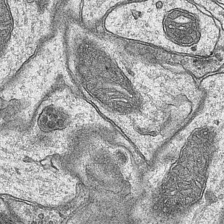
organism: Mouse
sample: CA1 Hippocampus